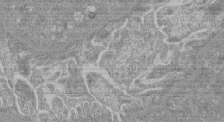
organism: Mouse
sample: Glomerulus